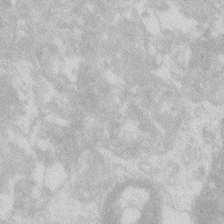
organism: Zebrafish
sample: Macrophage